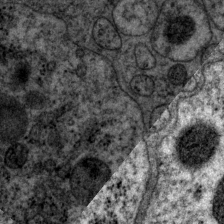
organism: P. pacificus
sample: Pharynx